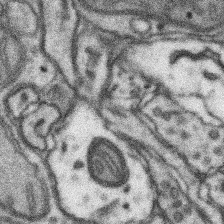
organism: Mouse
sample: Somatosensory cortex neuropil